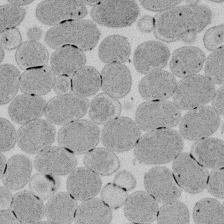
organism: E. coli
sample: Bacterial nucleoid